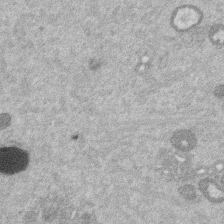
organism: Mouse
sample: Dividing mouse embryo 1 cell stage